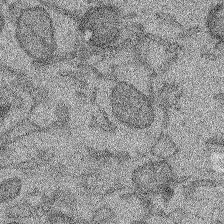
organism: Human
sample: HeLa cells